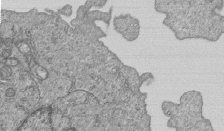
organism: Human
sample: MDA-MB-231 cells